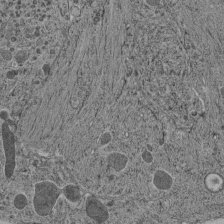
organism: C. elegans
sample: C. elegans pharynx